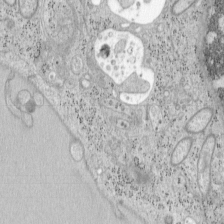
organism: Mouse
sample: OT-I killer T cells with ID8 ovarian cancer cells